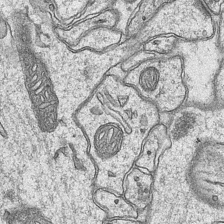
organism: Mouse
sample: CA1 Hippocampus